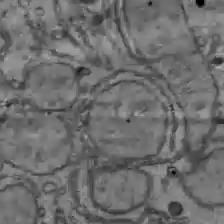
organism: C57BL Mouse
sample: Liver